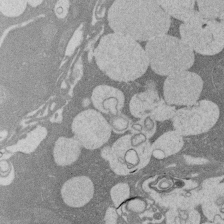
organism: Rat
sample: Salivary granule